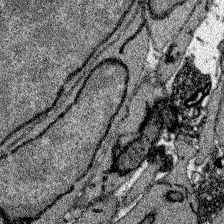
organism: Zebrafish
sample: Larval olfactory bulb